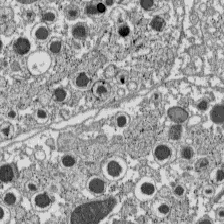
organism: C57BL Mouse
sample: Pancreatic islet